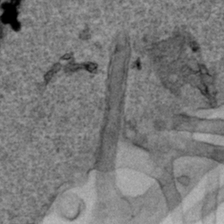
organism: Human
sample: Mitochondria in HCT116 cells